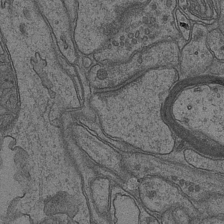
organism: Mouse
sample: CA1 Hippocampus